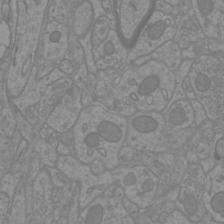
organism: Mouse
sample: Cortical neurons